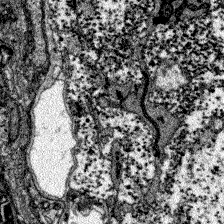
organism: Zebrafish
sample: Larval olfactory bulb